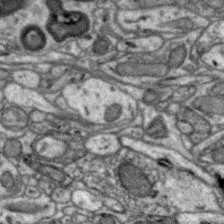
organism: Zebra finch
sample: Brain